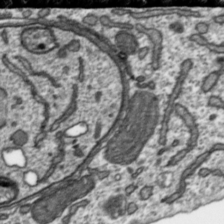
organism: Toxoplasma gondii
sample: Parasites in a vacuole inside a host cell